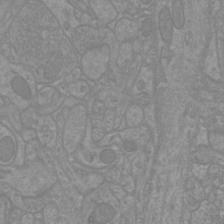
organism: Mouse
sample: Cortical neurons